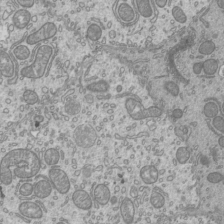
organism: Mouse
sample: Cilia; mouse epididymis